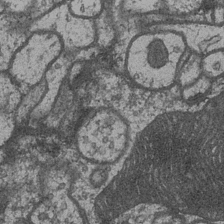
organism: Drosophila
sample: Optic medulla